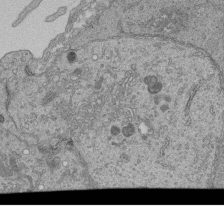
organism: Human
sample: Retinal organoid Rod and Cone cells